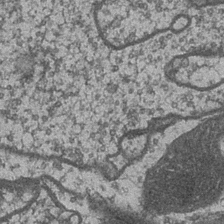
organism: Drosophila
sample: Optic medulla